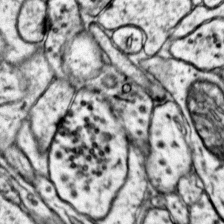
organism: Mouse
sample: Primary visual cortex